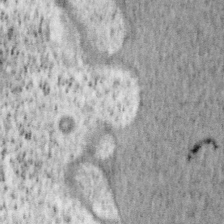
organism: Mouse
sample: OT-I killer T cells with ID8 ovarian cancer cells